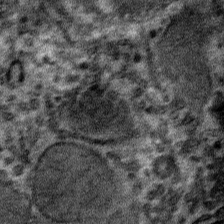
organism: Mouse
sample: Mouse hepatocytes